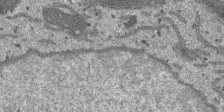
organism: Human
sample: Lung epithelial cells infected with SARS-CoV-2